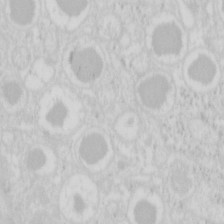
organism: Mouse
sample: Pancreas